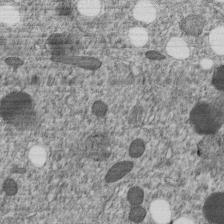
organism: C. elegans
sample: C. elegans embryo early stage